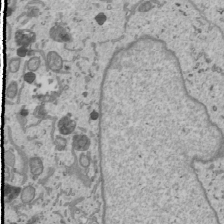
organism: Human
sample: Mitochondria in U2OS cells